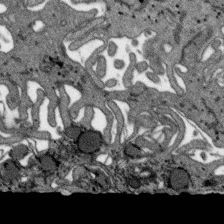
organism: Human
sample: Lung epithelial cells, uninfected (mock) control